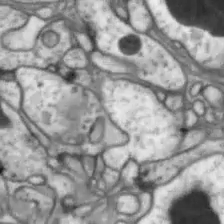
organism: Drosophila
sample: Optic lobe